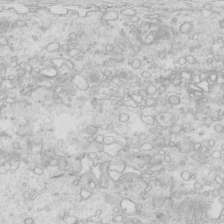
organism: Mouse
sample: Multiciliated cells